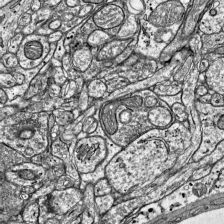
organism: Mouse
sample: Visual Cortex